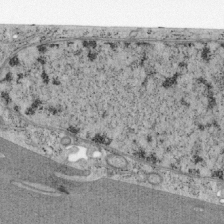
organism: Human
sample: HeLa cells